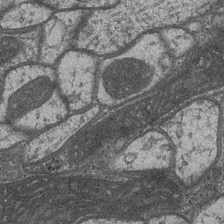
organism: Drosophila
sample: Optic medulla